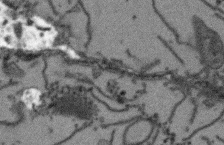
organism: Arabidopsis thaliana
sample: Root tip